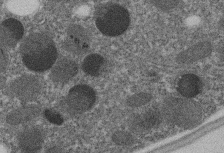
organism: C. elegans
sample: C. elegans embryo early stage